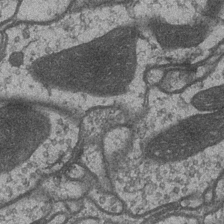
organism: Drosophila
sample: Optic medulla